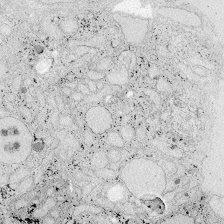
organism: Zebrafish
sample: Whole-Brain